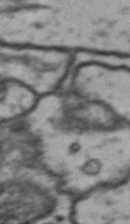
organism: Drosophila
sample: Brain